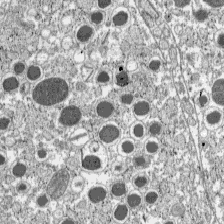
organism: C57BL Mouse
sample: Pancreatic islet